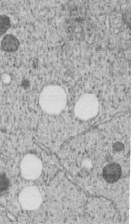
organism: C. elegans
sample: C. elegans embryo early stage